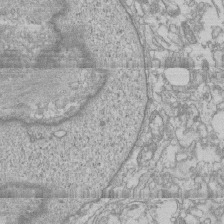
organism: Human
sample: CRL-1474